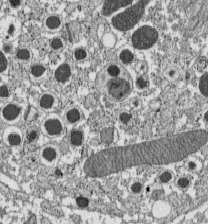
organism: C57BL Mouse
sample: Pancreatic islet